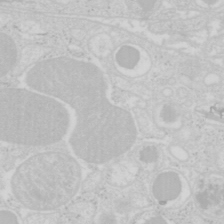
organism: Mouse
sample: Pancreas